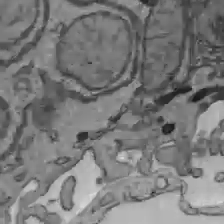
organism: C57BL Mouse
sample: Liver